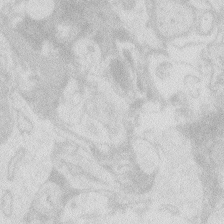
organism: Zebrafish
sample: Macrophage